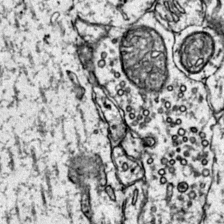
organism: Mouse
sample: Primary visual cortex